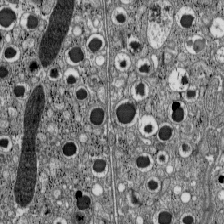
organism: C57BL Mouse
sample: Pancreatic islet